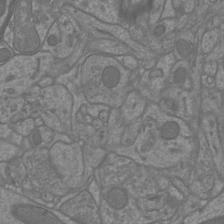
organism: Mouse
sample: Cortical neurons